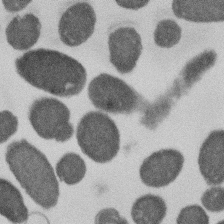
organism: E. coli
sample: Bacterial nucleoid